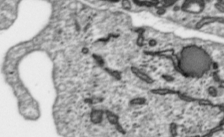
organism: Toxoplasma gondii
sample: Parasites in a vacuole inside a host cell